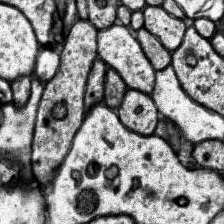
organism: Human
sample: Temporal Lobe